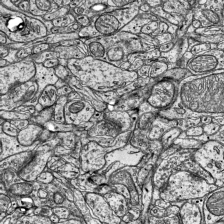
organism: Mouse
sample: Visual Cortex